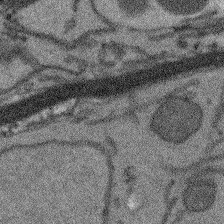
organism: Arabidopsis thaliana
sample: Root tip